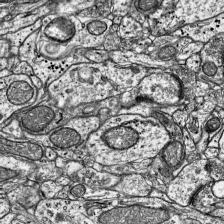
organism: Mouse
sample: Visual Cortex